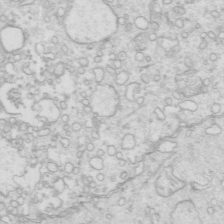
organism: Mouse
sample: Multiciliated cells